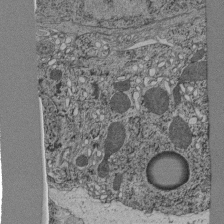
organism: C. elegans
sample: C. elegans pharynx